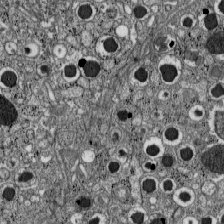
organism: C57BL Mouse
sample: Pancreatic islet